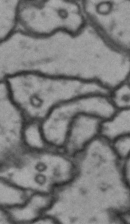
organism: Drosophila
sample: Brain